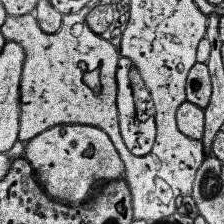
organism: Human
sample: Temporal Lobe